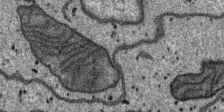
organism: Human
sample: Lung epithelial cells, uninfected (mock) control